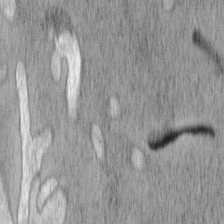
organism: Human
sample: HeLa cells